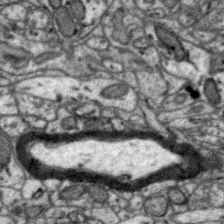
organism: Zebra finch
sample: Brain